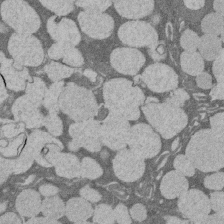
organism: Rat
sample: Salivary granule